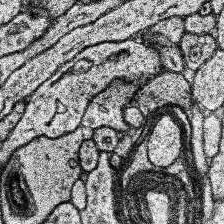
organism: Human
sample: Temporal Lobe